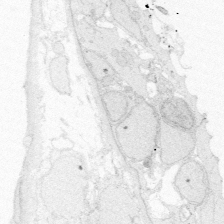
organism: Zebrafish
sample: Whole-Brain